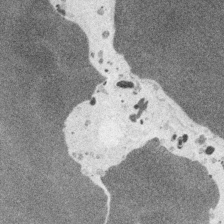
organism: Embia sp.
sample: Silk gland